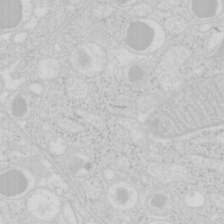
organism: Mouse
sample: Pancreas